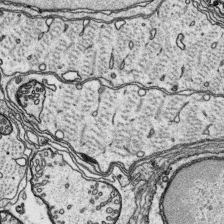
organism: Platynereis dumerilii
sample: Parapodia